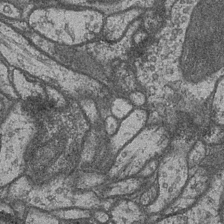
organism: Drosophila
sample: Optic medulla